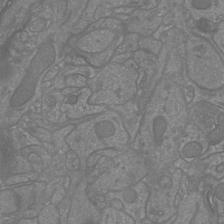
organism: Mouse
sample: Cortical neurons